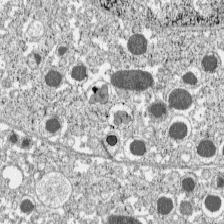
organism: C57BL Mouse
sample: Pancreatic islet